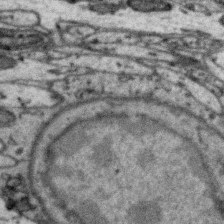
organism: Zebra finch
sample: Brain